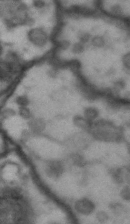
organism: Drosophila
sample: Brain